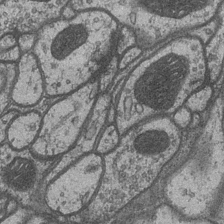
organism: Drosophila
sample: Optic medulla